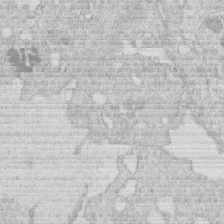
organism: Human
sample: Macrophage cells